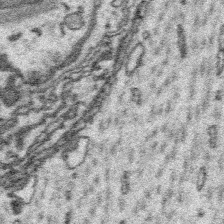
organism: Platynereis dumerilii